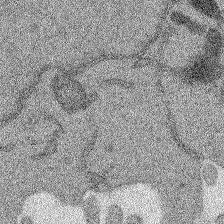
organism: Human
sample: HeLa cells